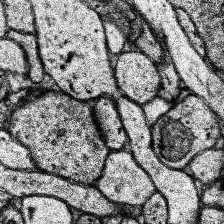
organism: Human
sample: Temporal Lobe